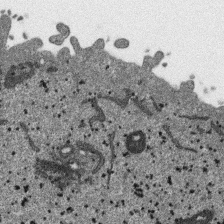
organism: Human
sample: Lung epithelial cells infected with SARS-CoV-2